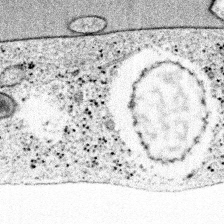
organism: Human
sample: HeLa cells